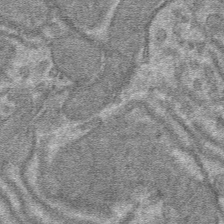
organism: Mouse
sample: Mouse hepatocytes